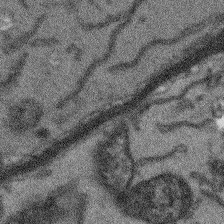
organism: Arabidopsis thaliana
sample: Root tip